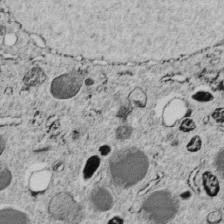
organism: C. elegans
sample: C. elegans embryo early stage